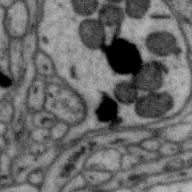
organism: Zebra finch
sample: Brain